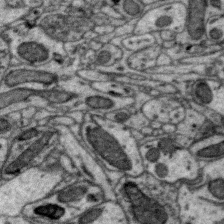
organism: Zebra finch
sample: Brain